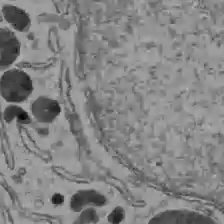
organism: C57BL Mouse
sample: Liver